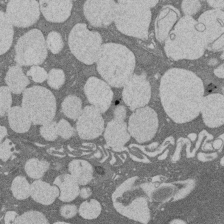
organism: Rat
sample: Salivary granule